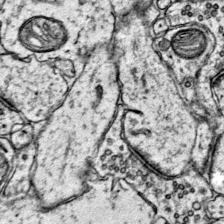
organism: Mouse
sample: Primary visual cortex